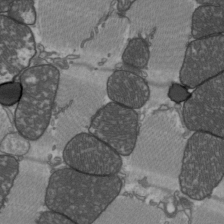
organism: C57BL Mouse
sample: Heart